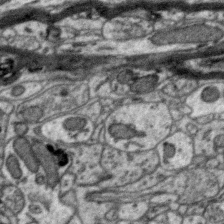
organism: Zebra finch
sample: Brain